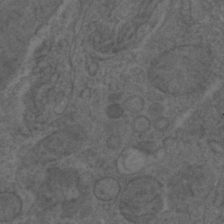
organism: C. elegans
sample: C. elegans embryo